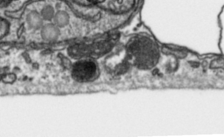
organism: Toxoplasma gondii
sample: Parasites in a vacuole inside a host cell